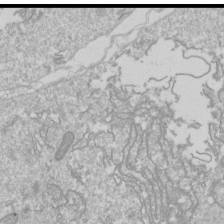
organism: Drosophila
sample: Cell division; meiosis; drosophila spermatocytes